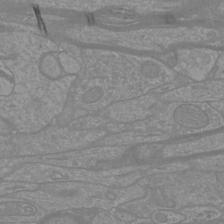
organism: Mouse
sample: Cortical neurons